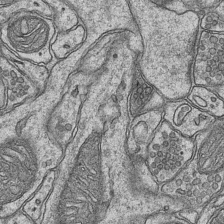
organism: Mouse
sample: CA1 Hippocampus